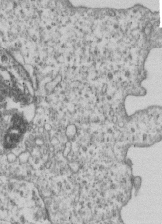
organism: Human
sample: MDA-MB-231 cells